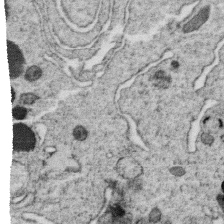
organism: C. elegans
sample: C. elegans oocyte; sperm cells